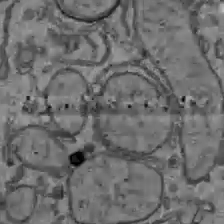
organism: C57BL Mouse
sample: Liver